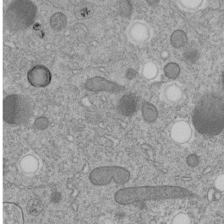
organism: C. elegans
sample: C. elegans embryo early stage